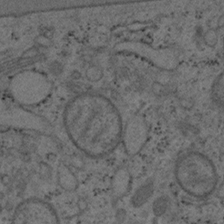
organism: Human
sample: HeLa cells